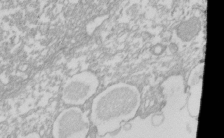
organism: Xenopus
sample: Cilia; centrioles in frog embryo cells